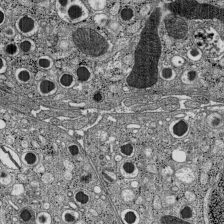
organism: C57BL Mouse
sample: Pancreatic islet